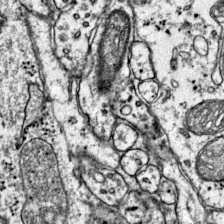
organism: Mouse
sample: Primary visual cortex